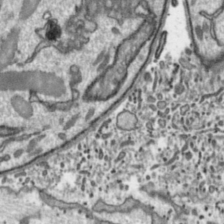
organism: Toxoplasma gondii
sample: Parasites in a vacuole inside a host cell